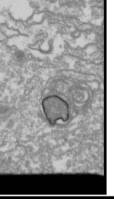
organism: Drosophila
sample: Cell division; meiosis; drosophila spermatocytes